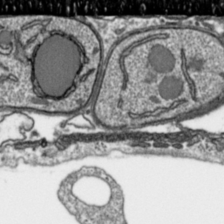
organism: Toxoplasma gondii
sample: Parasites in a vacuole inside a host cell